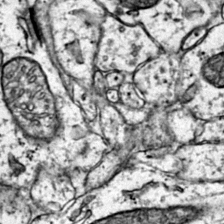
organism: Mouse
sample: Primary visual cortex